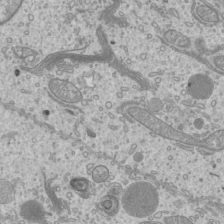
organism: Mouse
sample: Cilia; mouse epididymis